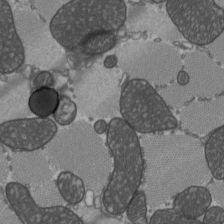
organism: C57BL Mouse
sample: Heart